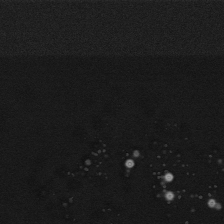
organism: Mouse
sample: Cancer cell death in ED-1 cells